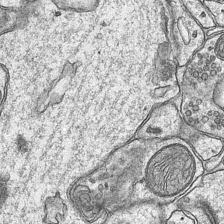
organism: Mouse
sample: CA1 Hippocampus